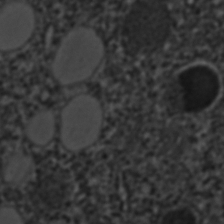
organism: C. elegans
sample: C. elegans embryo